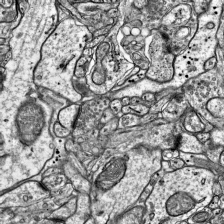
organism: Mouse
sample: Visual Cortex